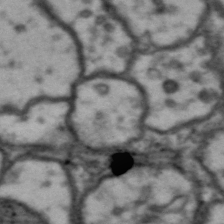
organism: Drosophila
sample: Brain